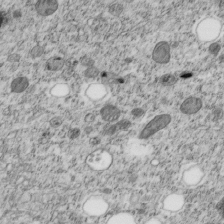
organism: C. elegans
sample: C. elegans embryo early stage